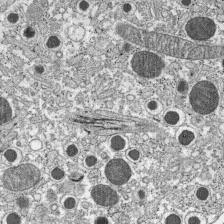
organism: C57BL Mouse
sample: Pancreatic islet